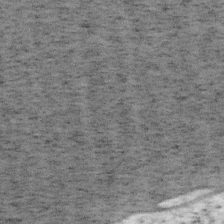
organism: Mouse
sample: OT-I killer T cells with ID8 ovarian cancer cells